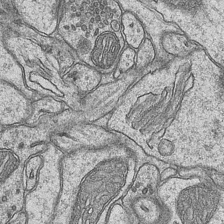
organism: Mouse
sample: CA1 Hippocampus